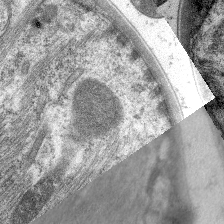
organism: C. elegans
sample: Pharynx